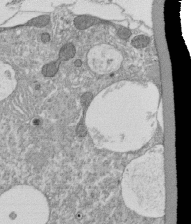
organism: Tetrahymena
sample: Cilia in tetrahymena